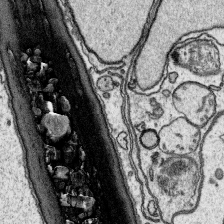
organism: Platynereis dumerilii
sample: Parapodia